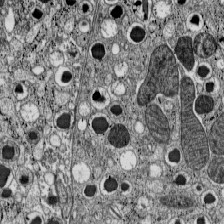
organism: C57BL Mouse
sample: Pancreatic islet